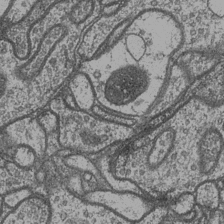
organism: Drosophila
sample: Optic medulla